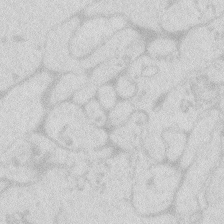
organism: Zebrafish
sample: Macrophage